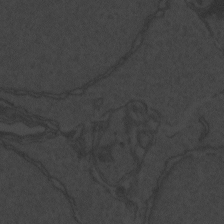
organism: Zebrafish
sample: Macrophage infected with Toxoplasma gondii